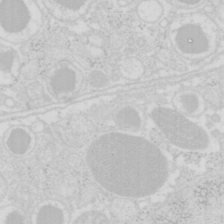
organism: Mouse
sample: Pancreas